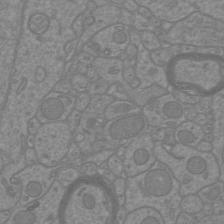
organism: Mouse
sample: Cortical neurons